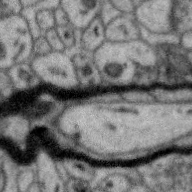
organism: Zebra finch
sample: Brain